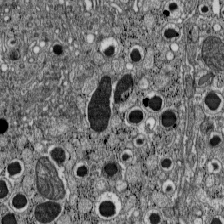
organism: C57BL Mouse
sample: Pancreatic islet